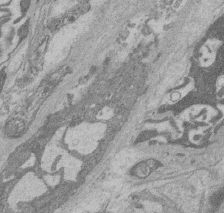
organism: Rat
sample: Salivary granule